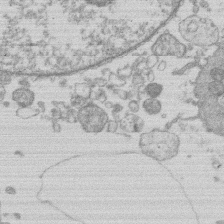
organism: Human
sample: Macrophage cells